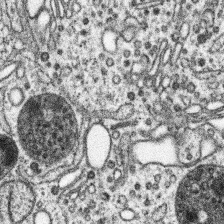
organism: Human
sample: HeLa cells